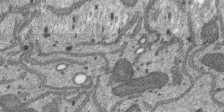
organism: Human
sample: Lung epithelial cells infected with SARS-CoV-2